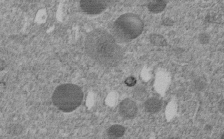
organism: C. elegans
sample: C. elegans embryo early stage